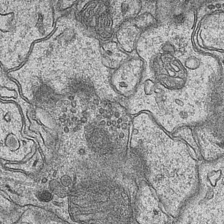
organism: Mouse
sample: CA1 Hippocampus